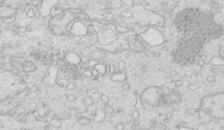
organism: Mouse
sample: Multiciliated cells